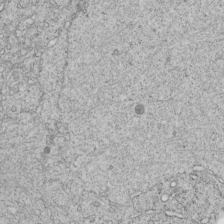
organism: C. elegans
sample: C. elegans embryo early stage